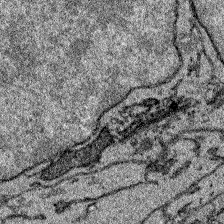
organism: Zebrafish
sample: Larval olfactory bulb